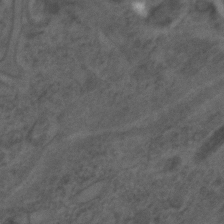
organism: C. elegans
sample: C. elegans embryo